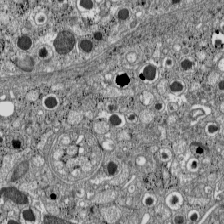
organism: C57BL Mouse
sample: Pancreatic islet